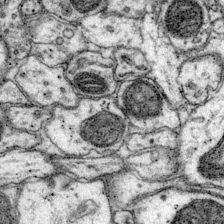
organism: Mouse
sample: Primary visual cortex